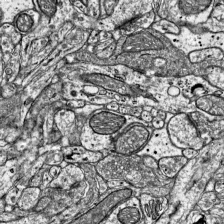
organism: Mouse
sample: Visual Cortex